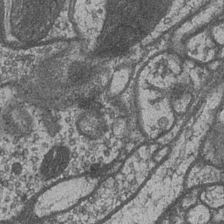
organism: Drosophila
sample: Optic medulla